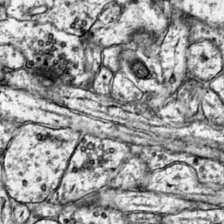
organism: Mouse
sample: Primary visual cortex